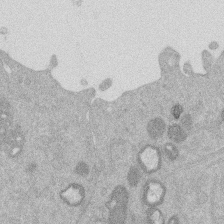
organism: Mouse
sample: Dividing mouse embryo 1 cell stage